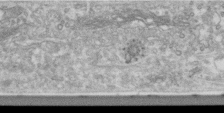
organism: Human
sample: Centriole in RPE cells